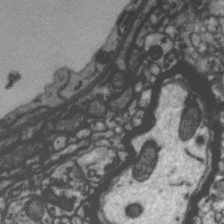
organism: Zebra finch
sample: Brain